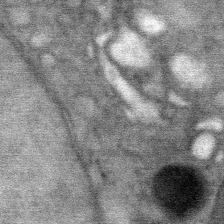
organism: Mouse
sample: Mouse Salivary gland